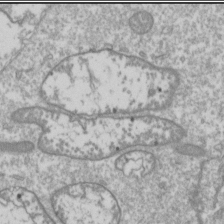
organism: Drosophila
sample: Cell division; meiosis; drosophila spermatocytes